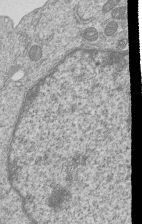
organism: Human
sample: MDA-MB-231 cells